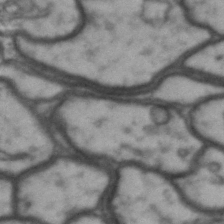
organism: Drosophila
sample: Brain